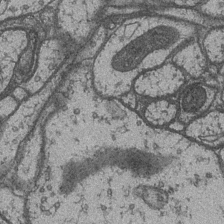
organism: Drosophila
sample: Optic medulla